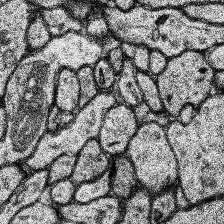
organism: Human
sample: Temporal Lobe